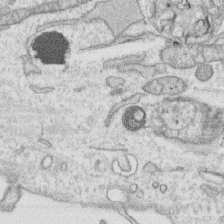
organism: Human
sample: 1205lu cells